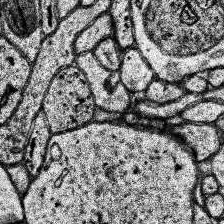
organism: Human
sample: Temporal Lobe